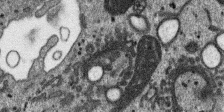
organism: Human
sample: Lung epithelial cells infected with SARS-CoV-2